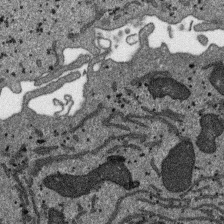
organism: Human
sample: Lung epithelial cells infected with SARS-CoV-2